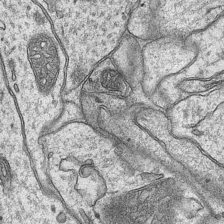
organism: Mouse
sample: CA1 Hippocampus